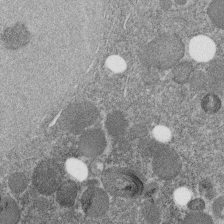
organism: C. elegans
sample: C. elegans embryo early stage